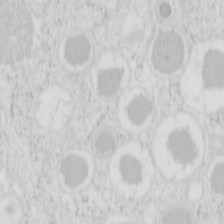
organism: Mouse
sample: Pancreas